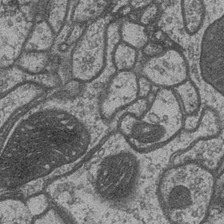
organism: Drosophila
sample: Optic medulla